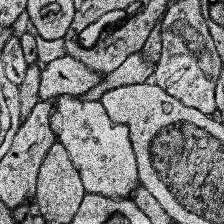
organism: Human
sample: Temporal Lobe